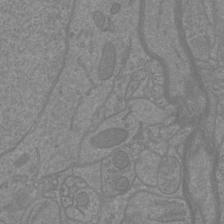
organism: Mouse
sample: Cortical neurons